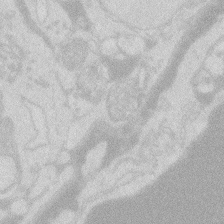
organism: Zebrafish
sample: Macrophage